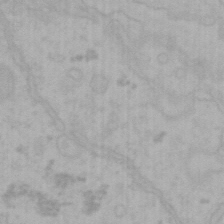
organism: Mouse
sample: Choroid plexus